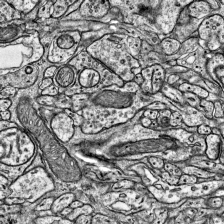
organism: Mouse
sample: Visual Cortex